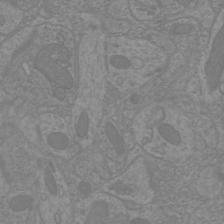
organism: Mouse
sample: Cortical neurons